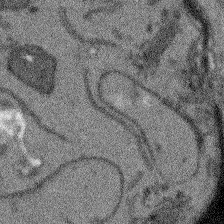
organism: Arabidopsis thaliana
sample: Root tip